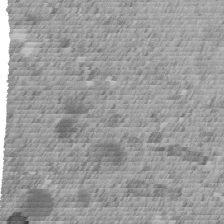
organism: C. elegans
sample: C. elegans embryo early stage